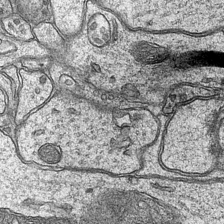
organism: Mouse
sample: CA1 Hippocampus